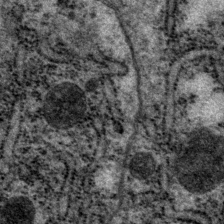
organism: P. pacificus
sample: Pharynx